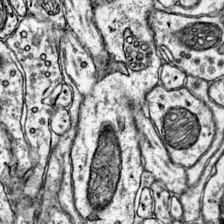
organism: Mouse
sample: Primary visual cortex